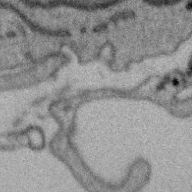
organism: Zebra finch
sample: Brain